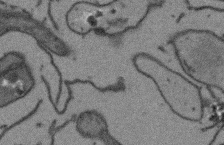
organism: Arabidopsis thaliana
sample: Root tip